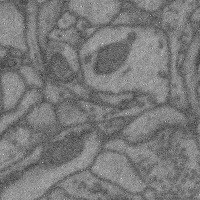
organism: Mouse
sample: Cerebral cortex